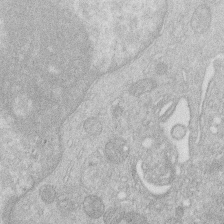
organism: Human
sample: Macrophage cells